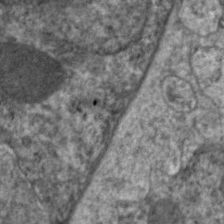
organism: C. elegans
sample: Pharynx